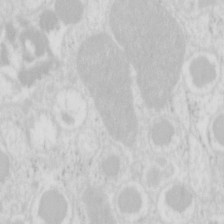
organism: Mouse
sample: Pancreas